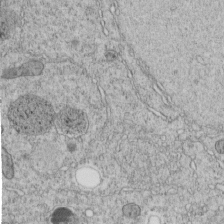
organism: C. elegans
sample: C. elegans embryo early stage